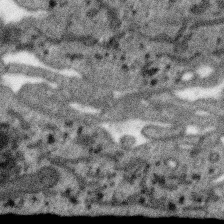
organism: Human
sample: Lung epithelial cells infected with SARS-CoV-2